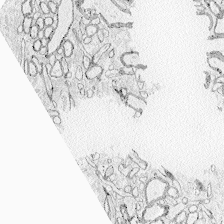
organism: Zebrafish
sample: Whole-Brain